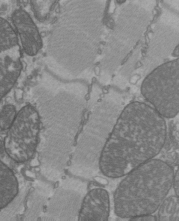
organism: C57BL Mouse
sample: Heart